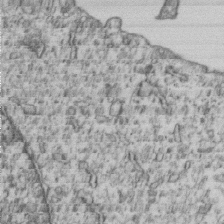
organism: Human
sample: MDA-MB-231 cells